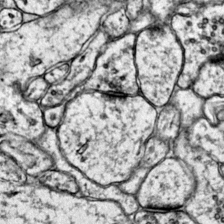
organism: Mouse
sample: Primary visual cortex